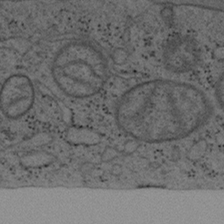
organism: Human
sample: HeLa cells